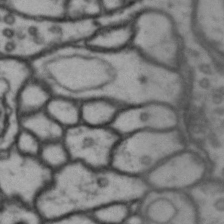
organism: Drosophila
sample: Brain